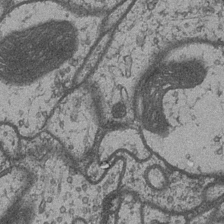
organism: Drosophila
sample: Optic medulla